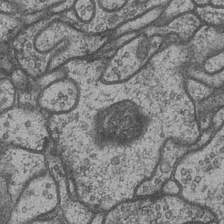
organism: Drosophila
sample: Optic medulla